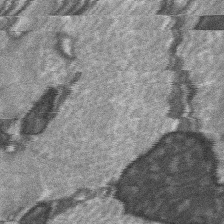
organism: C57BL Mouse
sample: Soleus